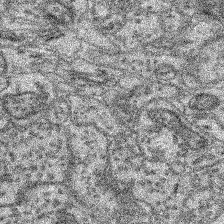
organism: Mouse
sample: Retina